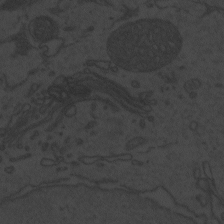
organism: Zebrafish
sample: Macrophage infected with Toxoplasma gondii